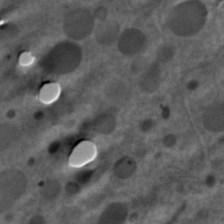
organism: C. elegans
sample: C. elegans embryo